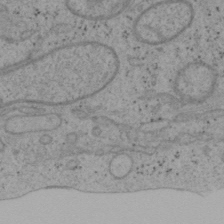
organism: Human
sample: HeLa cells